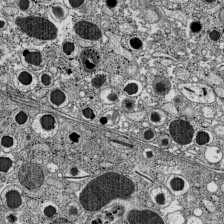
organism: C57BL Mouse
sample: Pancreatic islet